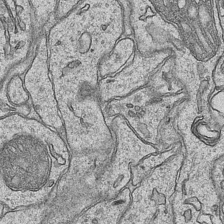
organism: Mouse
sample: CA1 Hippocampus